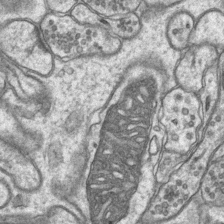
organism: Mouse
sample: CA1 Hippocampus